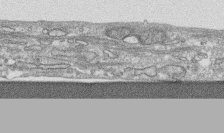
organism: Human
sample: CRL-1474